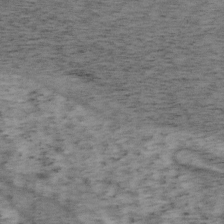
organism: Mouse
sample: OT-I killer T cells with ID8 ovarian cancer cells